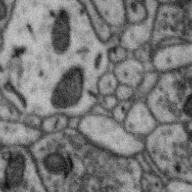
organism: Zebra finch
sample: Brain